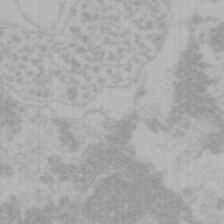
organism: Mouse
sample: Choroid plexus